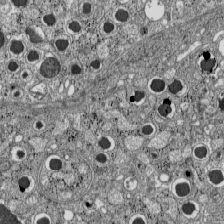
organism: C57BL Mouse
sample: Pancreatic islet